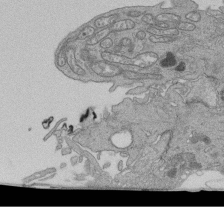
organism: Human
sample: Retinal organoid Rod and Cone cells